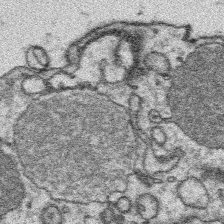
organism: Platynereis dumerilii